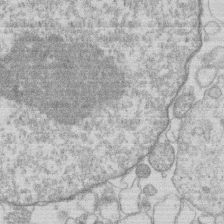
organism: Human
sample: Macrophage cells